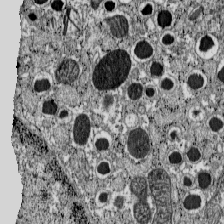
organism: C57BL Mouse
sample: Pancreatic islet